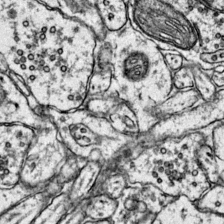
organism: Mouse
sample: Primary visual cortex